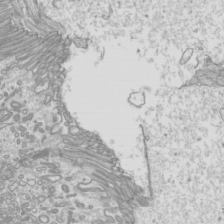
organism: Mouse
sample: Cilia; mouse epididymis